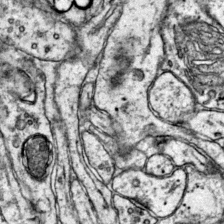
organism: Mouse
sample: Primary visual cortex